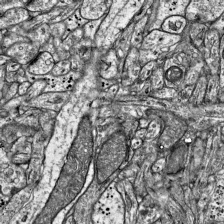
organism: Mouse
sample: Visual Cortex